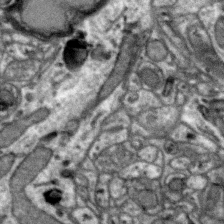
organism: Zebra finch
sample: Brain